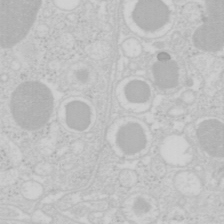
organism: Mouse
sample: Pancreas